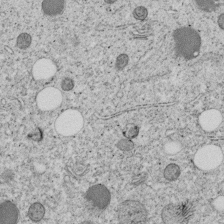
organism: C. elegans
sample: C. elegans embryo early stage